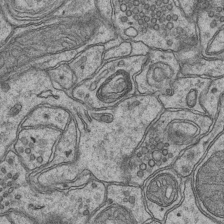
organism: Mouse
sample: CA1 Hippocampus